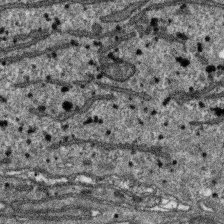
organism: Human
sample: Lung epithelial cells infected with SARS-CoV-2